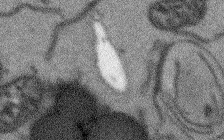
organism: Arabidopsis thaliana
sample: Root tip